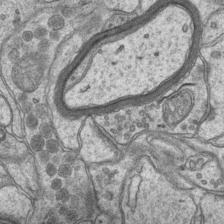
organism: Mouse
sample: CA1 Hippocampus